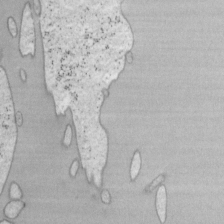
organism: Mouse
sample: OT-I killer T cells with ID8 ovarian cancer cells